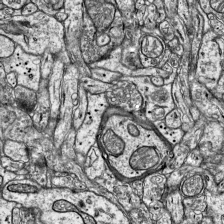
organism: Mouse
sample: Visual Cortex